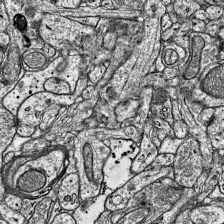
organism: Mouse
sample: Visual Cortex